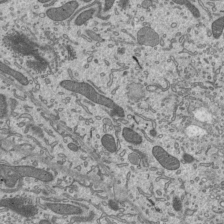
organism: Mouse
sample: Mouse epididymis efferent ductule cilia